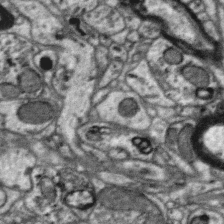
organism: Zebra finch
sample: Brain